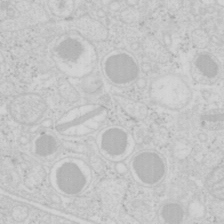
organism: Mouse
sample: Pancreas